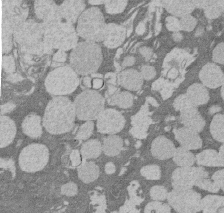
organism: Rat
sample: Salivary granule